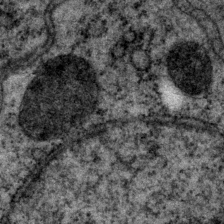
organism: P. pacificus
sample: Pharynx